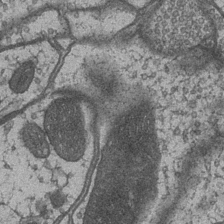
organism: Drosophila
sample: Optic medulla